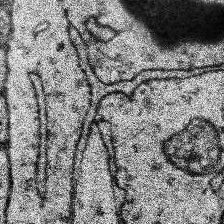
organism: Human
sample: Temporal Lobe